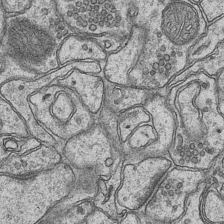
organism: Mouse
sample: CA1 Hippocampus